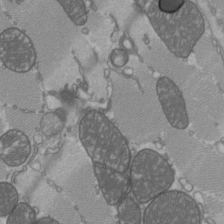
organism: C57BL Mouse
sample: Heart